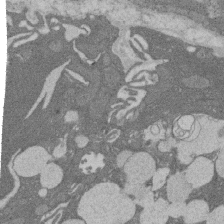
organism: Rat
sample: Salivary granule